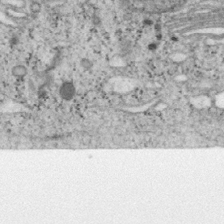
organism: Mouse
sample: OT-I killer T cells with ID8 ovarian cancer cells